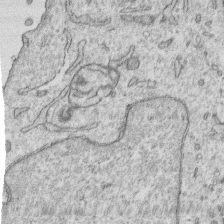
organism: Human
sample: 1205lu cells